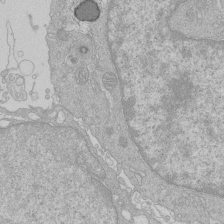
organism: Human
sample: Macrophage cells